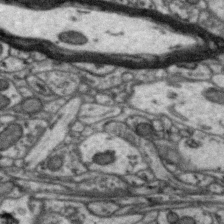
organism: Zebra finch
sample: Brain